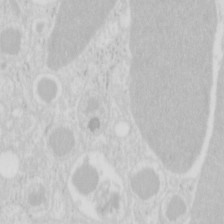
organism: Mouse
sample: Pancreas